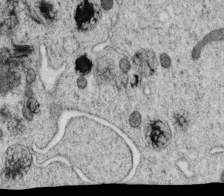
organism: C. elegans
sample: C. elegans oocyte; sperm cells